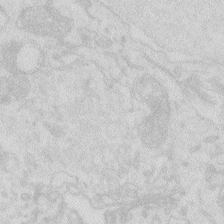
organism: Zebrafish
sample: Macrophage